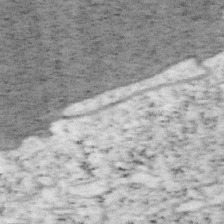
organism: Mouse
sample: OT-I killer T cells with ID8 ovarian cancer cells